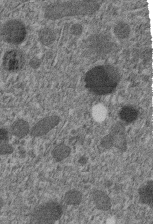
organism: C. elegans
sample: C. elegans embryo early stage